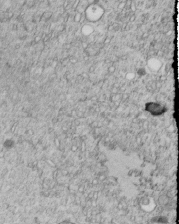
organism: C. elegans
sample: C. elegans embryo early stage